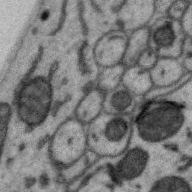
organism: Zebra finch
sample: Brain